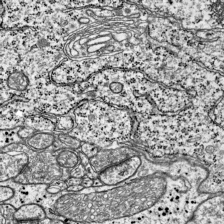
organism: Mouse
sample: Visual Cortex